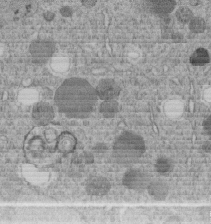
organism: C. elegans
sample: C. elegans embryo early stage